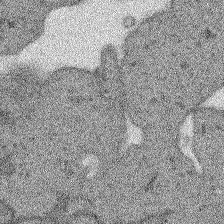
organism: Human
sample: HeLa cells